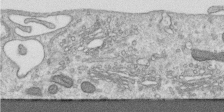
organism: Human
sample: Centriole in RPE cells